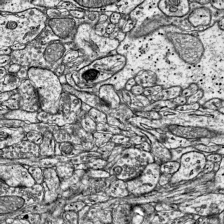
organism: Mouse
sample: Visual Cortex